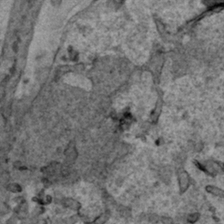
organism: Human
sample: Mitochondria in HCT116 cells